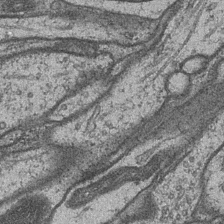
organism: Drosophila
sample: Optic medulla